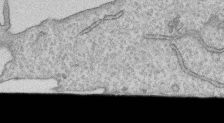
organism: Human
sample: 1205lu cells